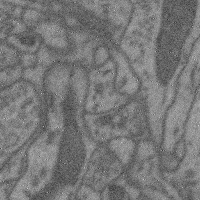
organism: Mouse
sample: Cerebral cortex